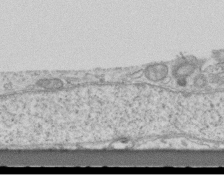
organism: Mouse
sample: Centriole in ependymal cells